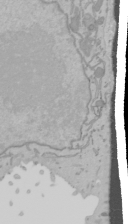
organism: Mouse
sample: Cancer cell death in ED-1 cells